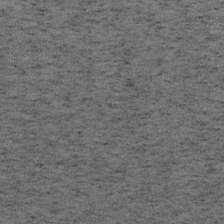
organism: Mouse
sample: OT-I killer T cells with ID8 ovarian cancer cells